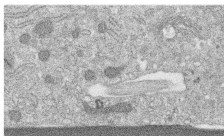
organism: Human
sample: Centriole in fibroblast cells